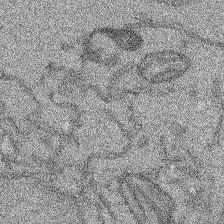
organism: Human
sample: HeLa cells